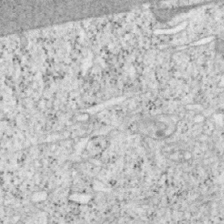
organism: Mouse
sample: OT-I killer T cells with ID8 ovarian cancer cells